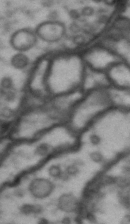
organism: Drosophila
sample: Brain